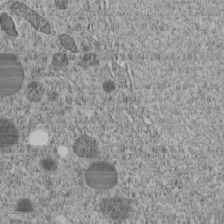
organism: C. elegans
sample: C. elegans embryo early stage